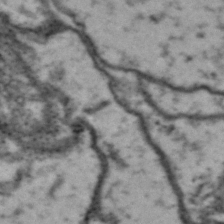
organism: Drosophila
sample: Brain